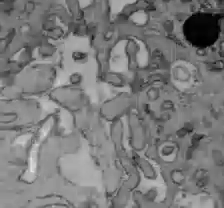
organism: C57BL Mouse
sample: Liver